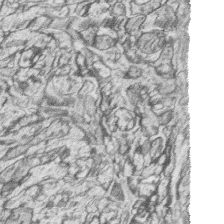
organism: Zebrafish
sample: synaptic ribbons in rod cells and cone cells